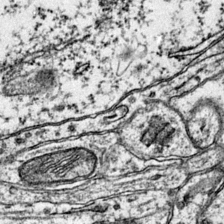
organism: Mouse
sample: Primary visual cortex